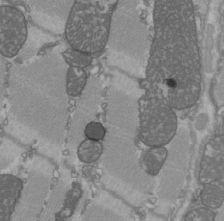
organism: C57BL Mouse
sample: Heart